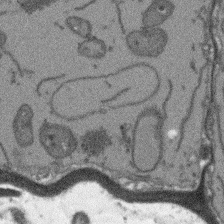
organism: Arabidopsis thaliana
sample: Root tip